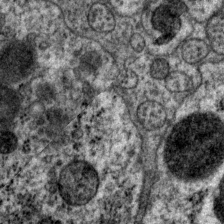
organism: P. pacificus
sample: Pharynx